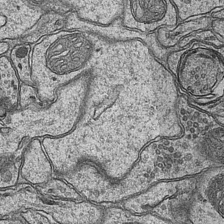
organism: Mouse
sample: CA1 Hippocampus